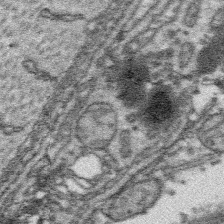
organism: Platynereis dumerilii